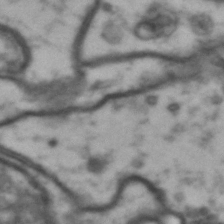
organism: Drosophila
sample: Brain